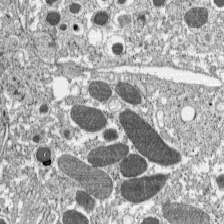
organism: C57BL Mouse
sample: Pancreatic islet